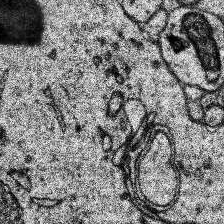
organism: Human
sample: Temporal Lobe